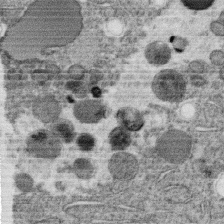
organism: C. elegans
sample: C. elegans oocyte; sperm cells